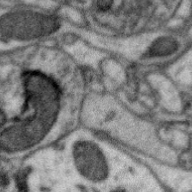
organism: Zebra finch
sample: Brain